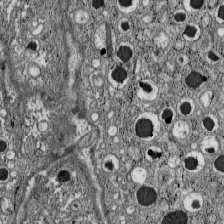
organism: C57BL Mouse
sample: Pancreatic islet